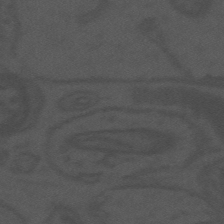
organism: Mouse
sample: Suprachiasmatic nucleus